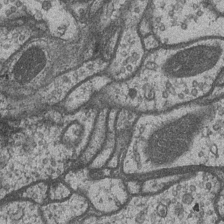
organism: Drosophila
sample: Optic medulla